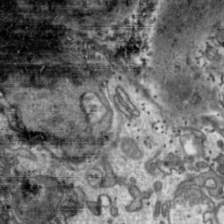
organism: Toxoplasma gondii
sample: Parasites in a vacuole inside a host cell